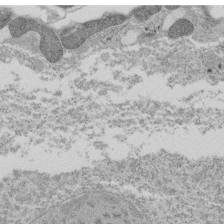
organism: Tetrahymena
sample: Cilia in tetrahymena